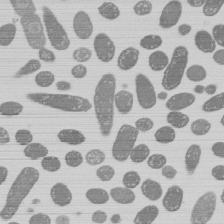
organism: E. coli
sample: Bacterial nucleoid